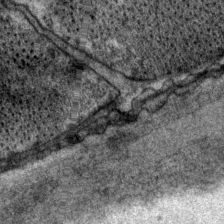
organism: P. pacificus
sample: Pharynx